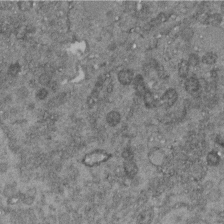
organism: C. elegans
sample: C. elegans embryo early stage